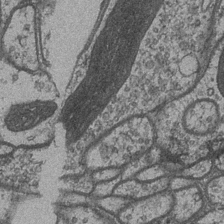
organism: Drosophila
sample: Optic medulla